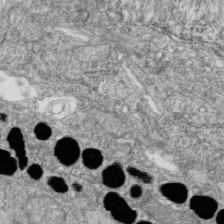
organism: Zebrafish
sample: Cilia; retinal pigment epithelium